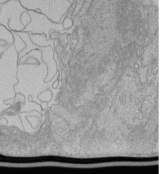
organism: Human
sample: Retinal organoid Rod and Cone cells